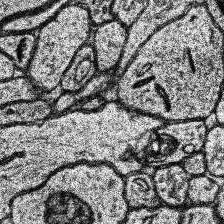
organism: Human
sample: Temporal Lobe